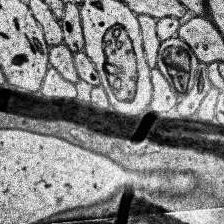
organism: Human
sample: Temporal Lobe